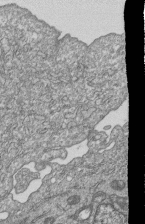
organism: Human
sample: MDA-MB-231 cells